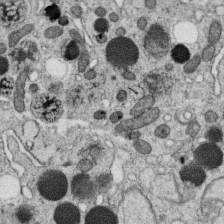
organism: C. elegans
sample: C. elegans oocyte; sperm cells